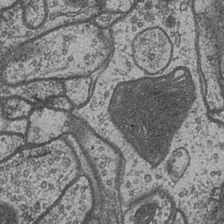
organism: Drosophila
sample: Optic medulla